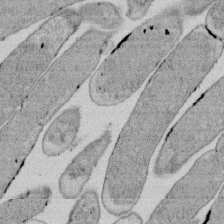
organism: E. coli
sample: Bacterial nucleoid